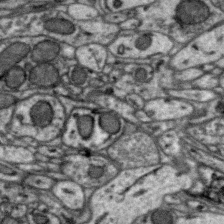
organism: Zebra finch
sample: Brain